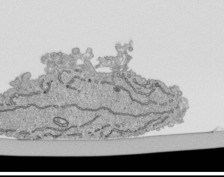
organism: Human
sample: Mitochondria in HCT116 cells